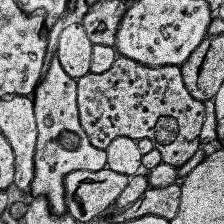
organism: Human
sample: Temporal Lobe